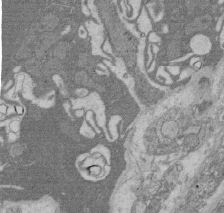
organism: Rat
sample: Salivary granule